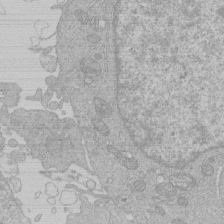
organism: Human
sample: Macrophage cells